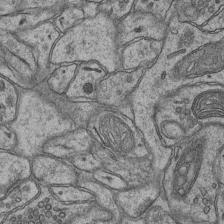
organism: Mouse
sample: CA1 Hippocampus